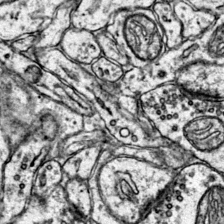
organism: Mouse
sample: Primary visual cortex